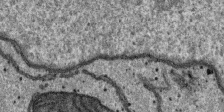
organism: Human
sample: Lung epithelial cells, uninfected (mock) control